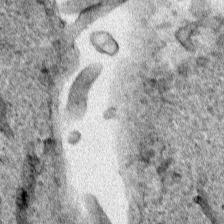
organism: Human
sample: Mitochondria in HCT116 cells